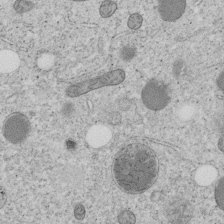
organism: C. elegans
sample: C. elegans embryo early stage